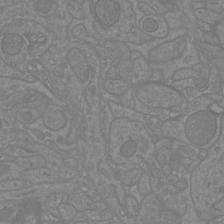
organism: Mouse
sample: Cortical neurons